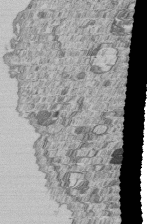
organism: Human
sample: MDA-MB-231 cells